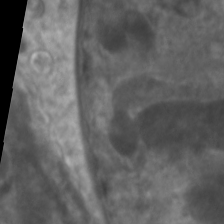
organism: C. elegans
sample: Pharynx